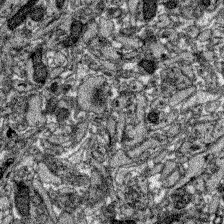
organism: Zebrafish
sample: Larval olfactory bulb